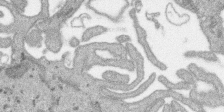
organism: Human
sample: Lung epithelial cells infected with SARS-CoV-2